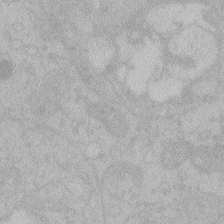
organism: Zebrafish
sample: Macrophage infected with Toxoplasma gondii